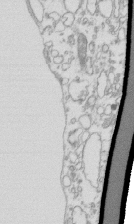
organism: Mouse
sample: Macrophages